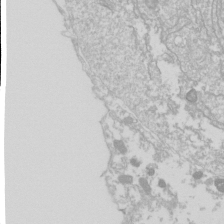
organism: Drosophila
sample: Cell division; meiosis; drosophila spermatocytes